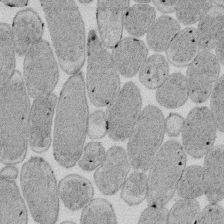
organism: E. coli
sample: Bacterial nucleoid